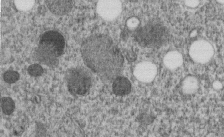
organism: C. elegans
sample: C. elegans embryo early stage